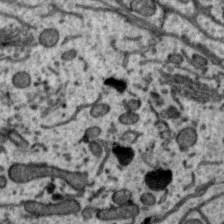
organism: Zebra finch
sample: Brain